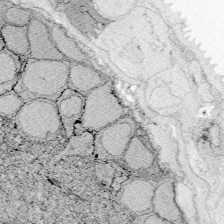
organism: Zebrafish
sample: Whole-Brain